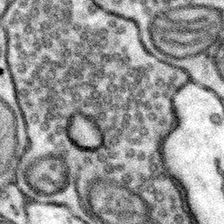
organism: Mouse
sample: Somatosensory cortex neuropil